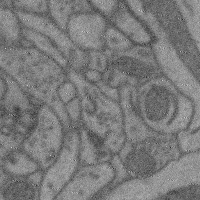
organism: Mouse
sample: Cerebral cortex